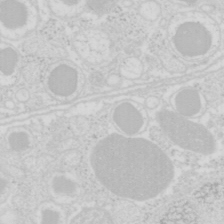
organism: Mouse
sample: Pancreas